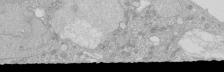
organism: Human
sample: Caco-2 cells